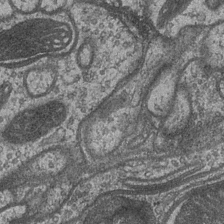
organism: Drosophila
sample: Optic medulla